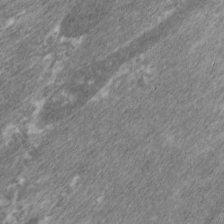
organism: C. elegans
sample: Pharynx